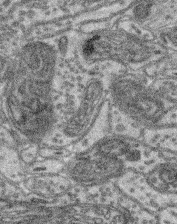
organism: Mouse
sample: Retina